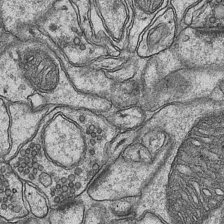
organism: Mouse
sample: CA1 Hippocampus